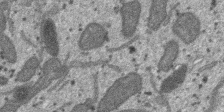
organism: Human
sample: Lung epithelial cells infected with SARS-CoV-2